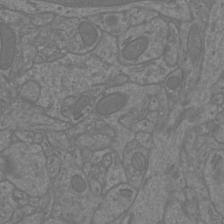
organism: Mouse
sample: Cortical neurons